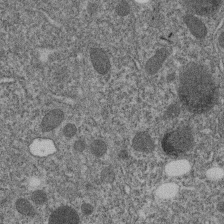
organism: C. elegans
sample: C. elegans embryo early stage